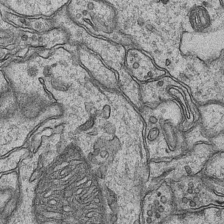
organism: Mouse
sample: CA1 Hippocampus